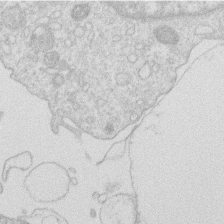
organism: Human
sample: Macrophage cells